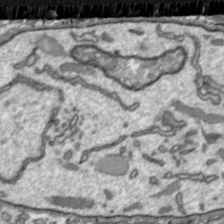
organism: Toxoplasma gondii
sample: Parasites in a vacuole inside a host cell